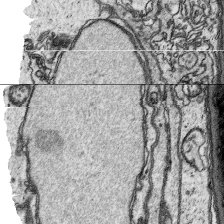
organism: Platynereis dumerilii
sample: Parapodia